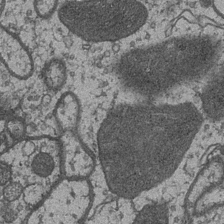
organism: Drosophila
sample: Optic medulla